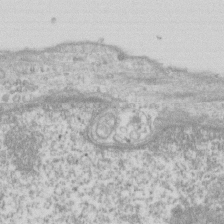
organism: Human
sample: Fibroblast cells